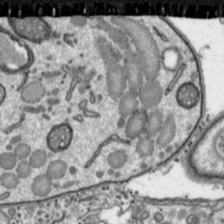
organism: Toxoplasma gondii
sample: Parasites in a vacuole inside a host cell